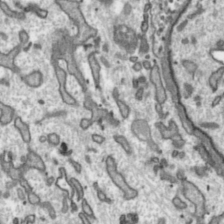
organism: Toxoplasma gondii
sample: Parasites in a vacuole inside a host cell